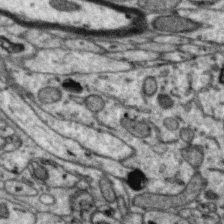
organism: Zebra finch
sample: Brain